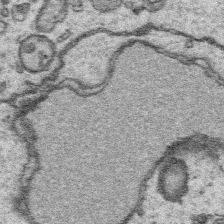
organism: Platynereis dumerilii